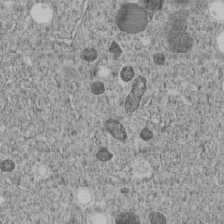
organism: C. elegans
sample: C. elegans embryo early stage